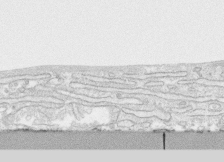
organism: Human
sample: CRL-1474